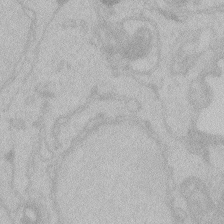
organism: Zebrafish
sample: Macrophage infected with Toxoplasma gondii